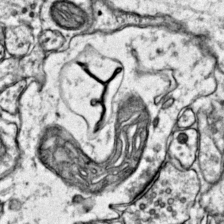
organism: Mouse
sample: Primary visual cortex